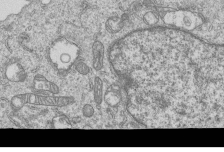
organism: Human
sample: MDA-MB-231 cells